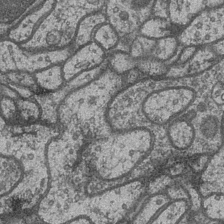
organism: Drosophila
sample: Optic medulla